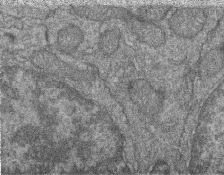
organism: Zebrafish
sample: Cilia; retinal pigment epithelium